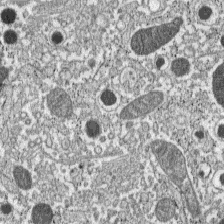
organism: C57BL Mouse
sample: Pancreatic islet